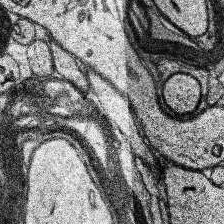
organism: Human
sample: Temporal Lobe